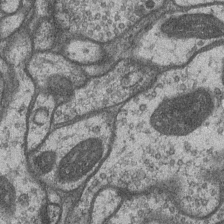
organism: Drosophila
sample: Optic medulla